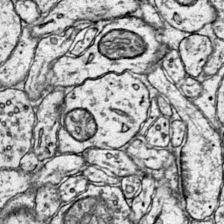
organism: Mouse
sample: Primary visual cortex